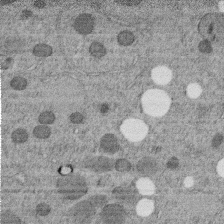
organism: C. elegans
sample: C. elegans embryo early stage